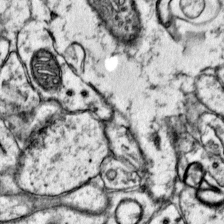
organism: Mouse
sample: Primary visual cortex